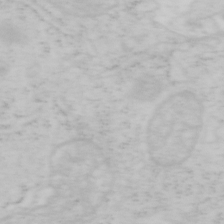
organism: Mouse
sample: OT-I killer T cells with ID8 ovarian cancer cells